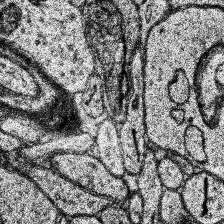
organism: Human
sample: Temporal Lobe